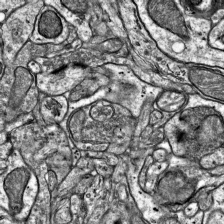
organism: Mouse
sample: Visual Cortex